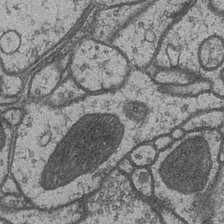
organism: Drosophila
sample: Optic medulla